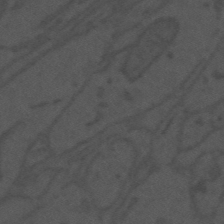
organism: Mouse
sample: Suprachiasmatic nucleus